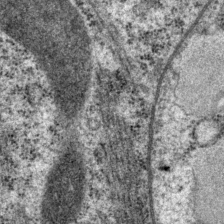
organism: P. pacificus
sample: Pharynx